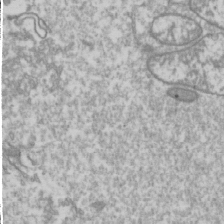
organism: Drosophila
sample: Cell division; meiosis; drosophila spermatocytes